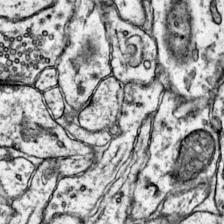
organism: Mouse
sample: Primary visual cortex